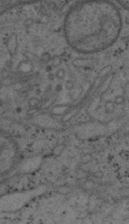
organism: Human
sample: HeLa cells